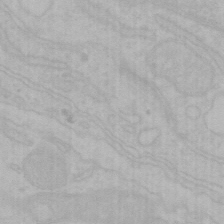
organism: Mouse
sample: Choroid plexus